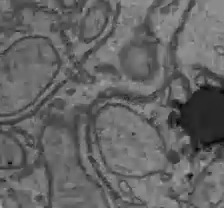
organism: C57BL Mouse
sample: Liver